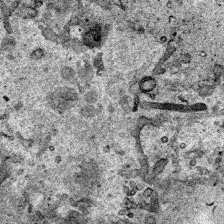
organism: Human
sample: Mitochondria in HCT116 cells